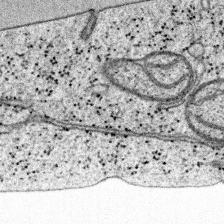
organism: Human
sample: HeLa cells